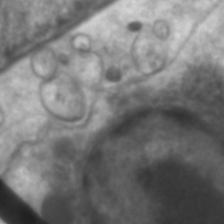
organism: C. elegans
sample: Pharynx